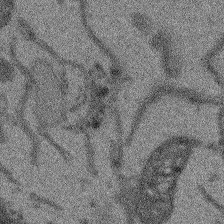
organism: Arabidopsis thaliana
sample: Root tip